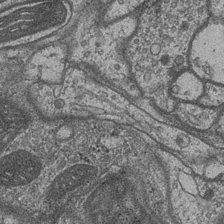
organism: Drosophila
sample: Optic medulla